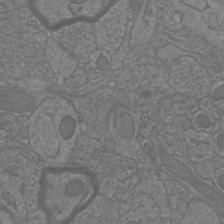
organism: Mouse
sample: Cortical neurons